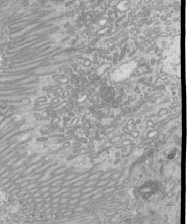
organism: Mouse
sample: Cilia; mouse epididymis